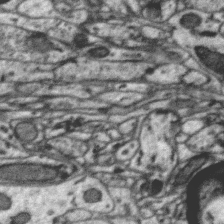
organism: Zebra finch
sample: Brain